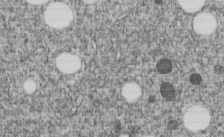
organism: C. elegans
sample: C. elegans embryo early stage